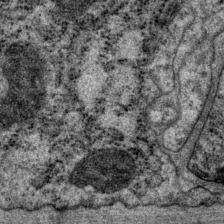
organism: P. pacificus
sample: Pharynx